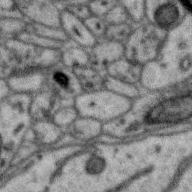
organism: Zebra finch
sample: Brain